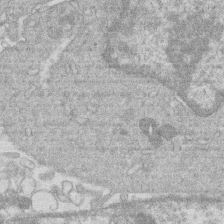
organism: Human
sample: Macrophage cells